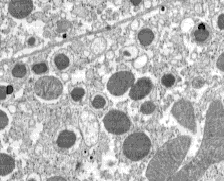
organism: C57BL Mouse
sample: Pancreatic islet